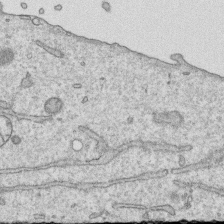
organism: Human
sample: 1205lu cells